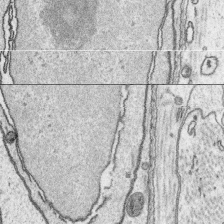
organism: Platynereis dumerilii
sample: Parapodia